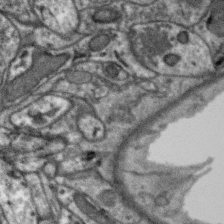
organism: Zebra finch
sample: Brain